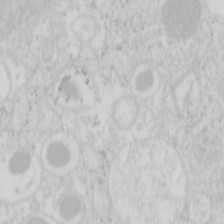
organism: Mouse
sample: Pancreas